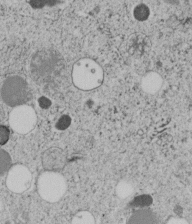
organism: C. elegans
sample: C. elegans embryo early stage